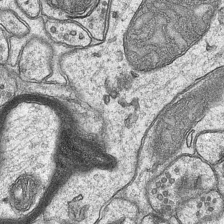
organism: Mouse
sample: CA1 Hippocampus